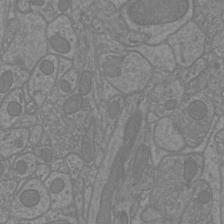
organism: Mouse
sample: Cortical neurons